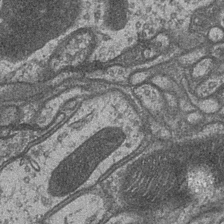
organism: Drosophila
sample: Optic medulla